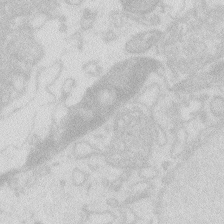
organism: Zebrafish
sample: Macrophage